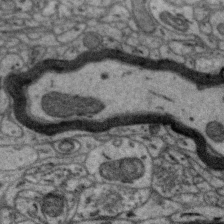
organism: Zebra finch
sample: Brain